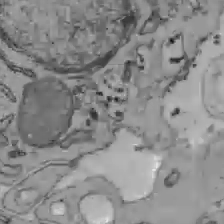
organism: C57BL Mouse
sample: Liver